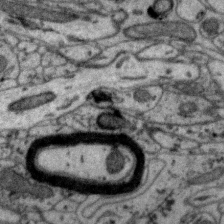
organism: Zebra finch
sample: Brain